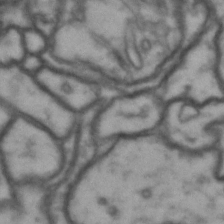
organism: Drosophila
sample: Brain